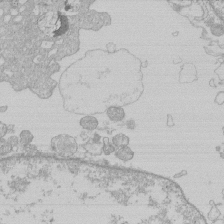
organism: Human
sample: Macrophage cells